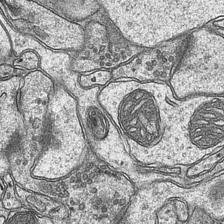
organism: Mouse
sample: CA1 Hippocampus